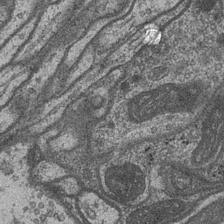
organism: Drosophila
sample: Optic medulla